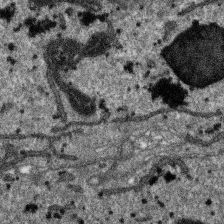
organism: Human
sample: Lung epithelial cells infected with SARS-CoV-2